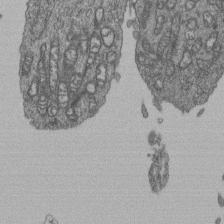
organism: Human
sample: Retinal organoid Rod and Cone cells